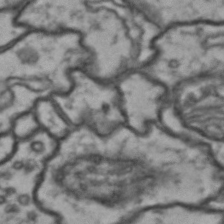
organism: Drosophila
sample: Brain